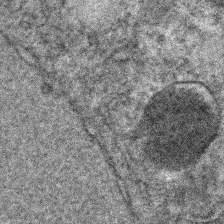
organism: C. elegans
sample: C. elegans embryo